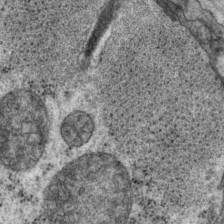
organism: P. pacificus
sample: Pharynx